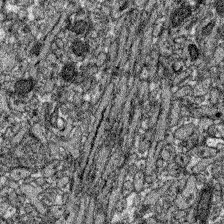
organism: Zebrafish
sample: Larval olfactory bulb